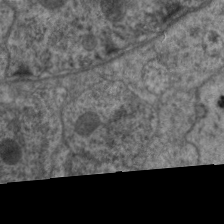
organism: C. elegans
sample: Pharynx